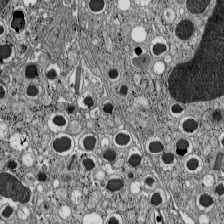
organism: C57BL Mouse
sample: Pancreatic islet